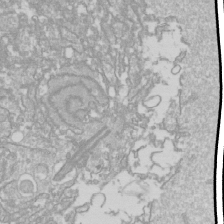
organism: Drosophila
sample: Cell division; meiosis; drosophila spermatocytes